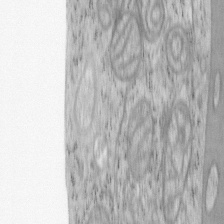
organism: Human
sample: HeLa cells